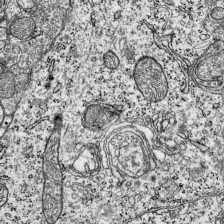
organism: Mouse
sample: Visual Cortex